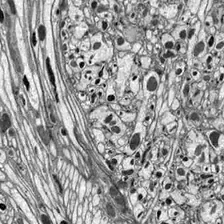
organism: Drosophila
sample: Optic lobe